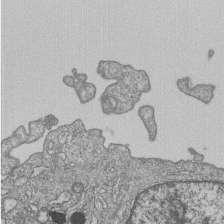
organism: Human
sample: MDA-MB-231 cells